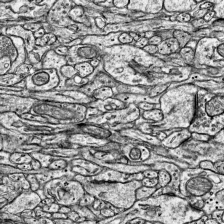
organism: Mouse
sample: Visual Cortex